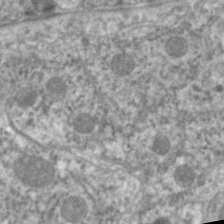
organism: C. elegans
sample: Pharynx